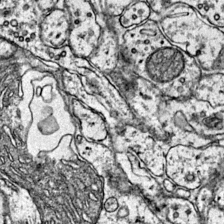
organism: Mouse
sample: Primary visual cortex